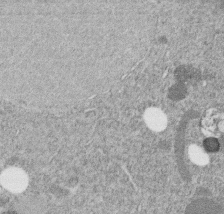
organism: C. elegans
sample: C. elegans embryo early stage